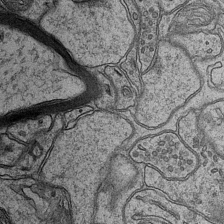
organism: Mouse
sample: CA1 Hippocampus